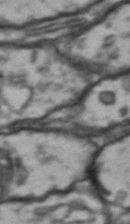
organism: Drosophila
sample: Brain